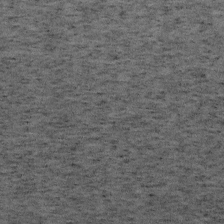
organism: Mouse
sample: OT-I killer T cells with ID8 ovarian cancer cells